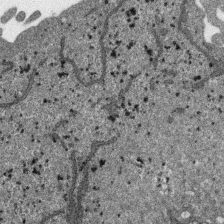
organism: Human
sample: Lung epithelial cells infected with SARS-CoV-2